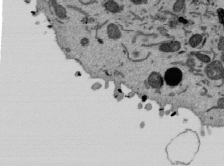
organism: Mouse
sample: ED-1 cell nuclei; centrioles